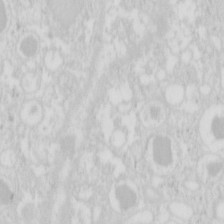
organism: Mouse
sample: Pancreas